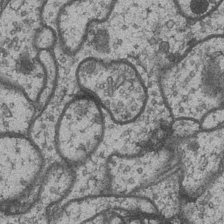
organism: Drosophila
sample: Optic medulla